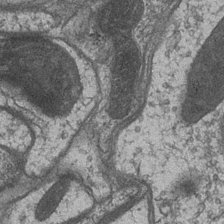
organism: Drosophila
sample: Optic medulla